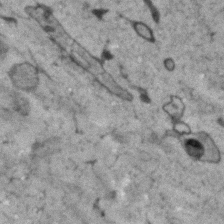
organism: Human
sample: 1205lu cells